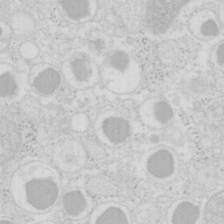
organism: Mouse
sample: Pancreas